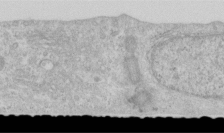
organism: Human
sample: Centriole in RPE cells